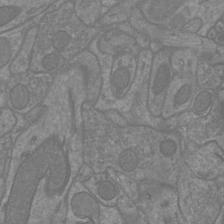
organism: Mouse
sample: Cortical neurons